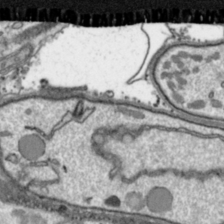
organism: Toxoplasma gondii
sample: Parasites in a vacuole inside a host cell